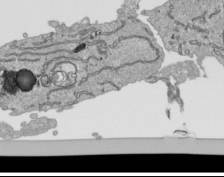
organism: Human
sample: Mitochondria in HCT116 cells